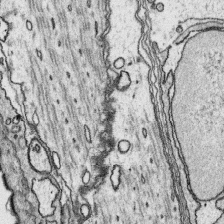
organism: Platynereis dumerilii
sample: Parapodia